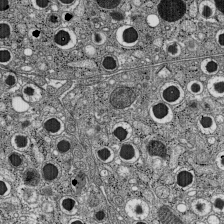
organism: C57BL Mouse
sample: Pancreatic islet